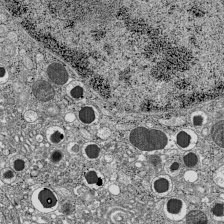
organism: C57BL Mouse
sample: Pancreatic islet